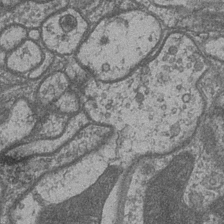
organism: Drosophila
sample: Optic medulla